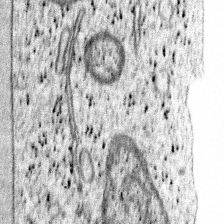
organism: Human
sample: HeLa cells